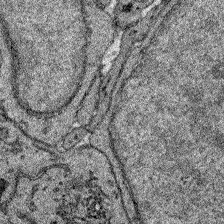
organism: Zebrafish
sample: Larval olfactory bulb